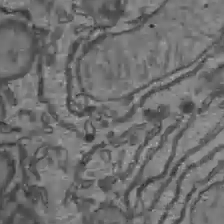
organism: C57BL Mouse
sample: Liver